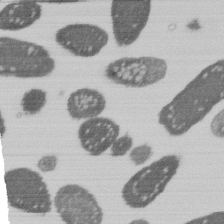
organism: E. coli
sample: Bacterial nucleoid